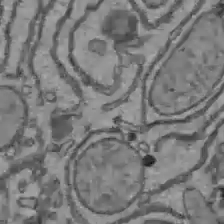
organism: C57BL Mouse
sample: Liver